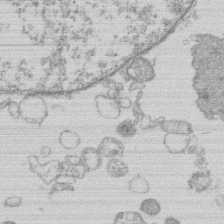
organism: Human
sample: Macrophage cells